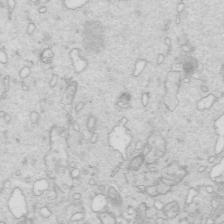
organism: Mouse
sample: Multiciliated cells